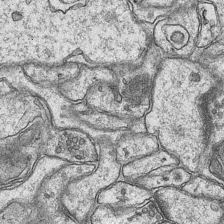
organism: Mouse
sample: CA1 Hippocampus